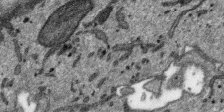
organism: Human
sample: Lung epithelial cells, uninfected (mock) control